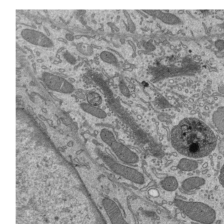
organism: Mouse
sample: Mouse epididymis efferent ductule cilia